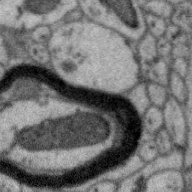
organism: Zebra finch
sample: Brain